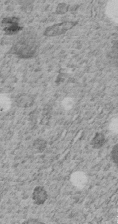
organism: C. elegans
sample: C. elegans embryo early stage